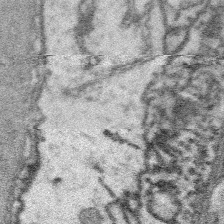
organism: Platynereis dumerilii